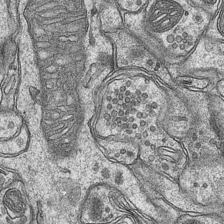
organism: Mouse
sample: CA1 Hippocampus